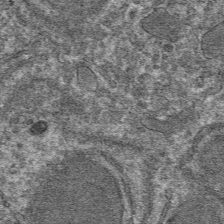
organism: Mouse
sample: Mouse hepatocytes